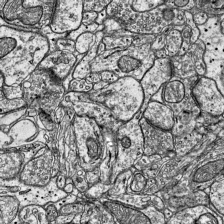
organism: Mouse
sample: Visual Cortex